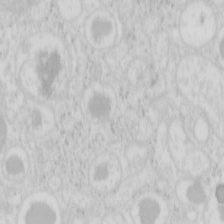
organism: Mouse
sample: Pancreas